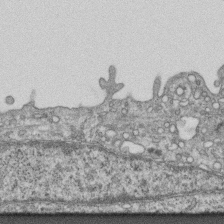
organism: Mouse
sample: Centriole in ependymal cells